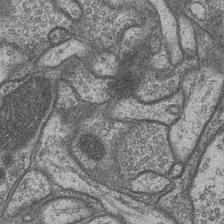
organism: Drosophila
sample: Optic medulla